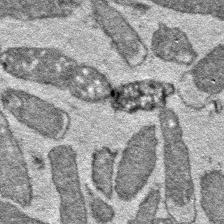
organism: E. coli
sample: E. Coli Bacteria